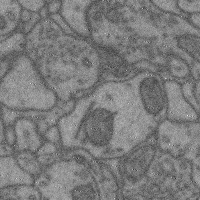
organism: Mouse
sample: Cerebral cortex